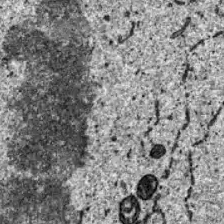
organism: Human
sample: HeLa cells